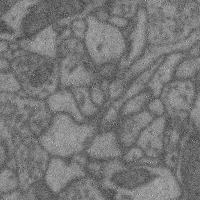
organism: Mouse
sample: Cerebral cortex